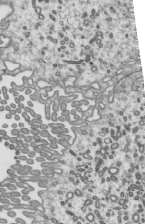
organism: Mouse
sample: Mouse epididymis efferent ductule cilia